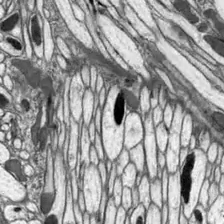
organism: Drosophila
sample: Optic lobe